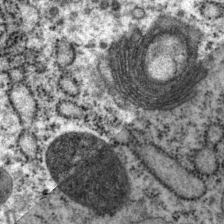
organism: P. pacificus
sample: Pharynx